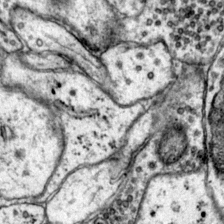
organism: Mouse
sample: Primary visual cortex